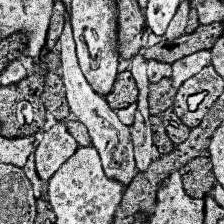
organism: Human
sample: Temporal Lobe